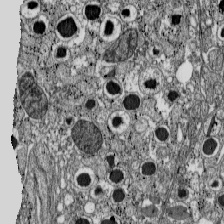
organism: C57BL Mouse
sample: Pancreatic islet